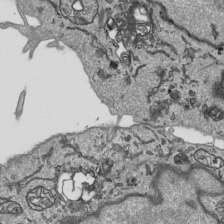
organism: Human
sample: Mitochondria in HCT116 cells